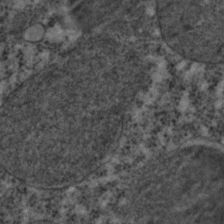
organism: C. elegans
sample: C. elegans embryo